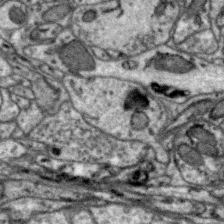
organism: Zebra finch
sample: Brain